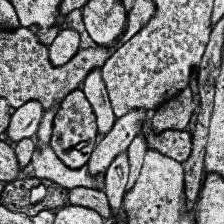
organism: Human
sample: Temporal Lobe